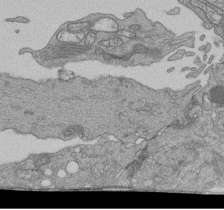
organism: Human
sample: Retinal organoid Rod and Cone cells